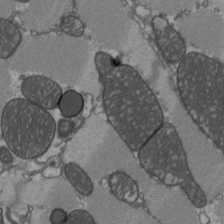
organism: C57BL Mouse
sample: Heart